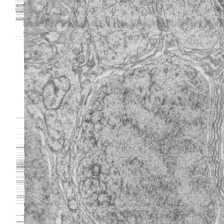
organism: Zebrafish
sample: synaptic ribbons in rod cells and cone cells